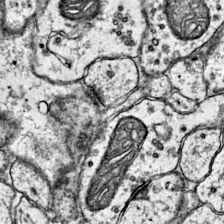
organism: Mouse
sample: Primary visual cortex